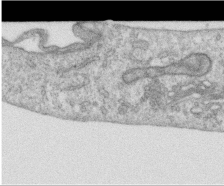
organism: Human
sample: Centriole in RPE cells